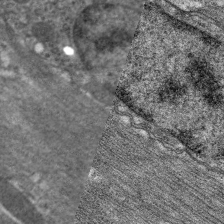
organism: C. elegans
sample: Pharynx